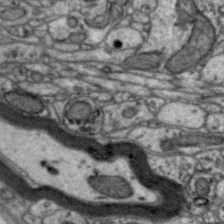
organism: Zebra finch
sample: Brain